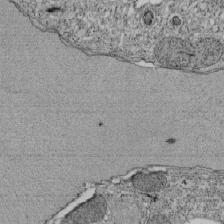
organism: Tetrahymena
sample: Cilia in tetrahymena